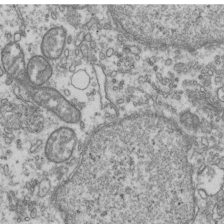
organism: Human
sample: Activated Jurkat CD4+ T cells